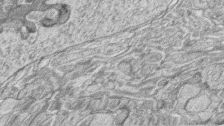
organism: Zebrafish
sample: synaptic ribbons in rod cells and cone cells